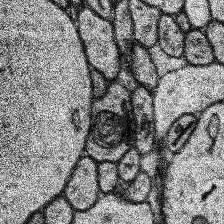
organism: Human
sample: Temporal Lobe